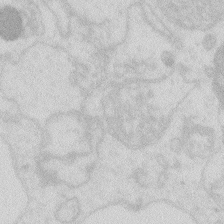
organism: Zebrafish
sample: Macrophage